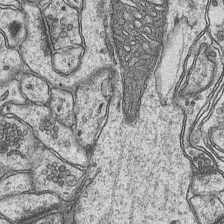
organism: Mouse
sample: CA1 Hippocampus